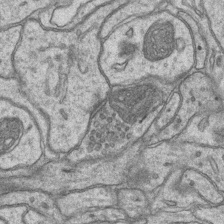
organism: Mouse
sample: CA1 Hippocampus